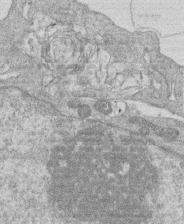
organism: Human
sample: Macrophage cells